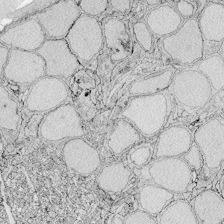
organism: Zebrafish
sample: Whole-Brain